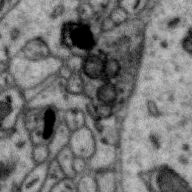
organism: Zebra finch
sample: Brain